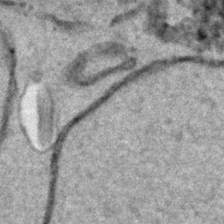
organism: Human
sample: Mitochondria in HCT116 cells